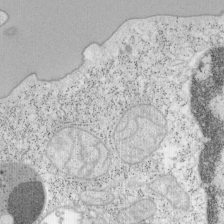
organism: Mouse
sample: OT-I killer T cells with ID8 ovarian cancer cells